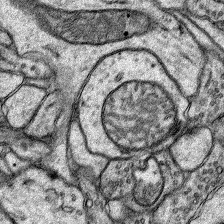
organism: Rat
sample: Hippocampus